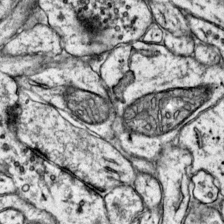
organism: Mouse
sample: Primary visual cortex